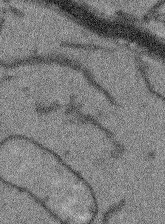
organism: Arabidopsis thaliana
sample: Root tip